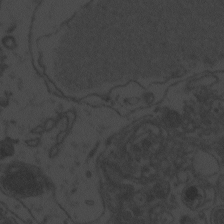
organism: Zebrafish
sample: Macrophage infected with Toxoplasma gondii